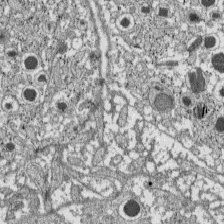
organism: C57BL Mouse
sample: Pancreatic islet